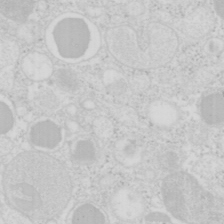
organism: Mouse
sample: Pancreas